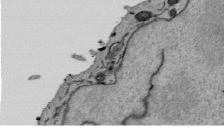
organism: Mouse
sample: ED-1 cell nuclei; centrioles